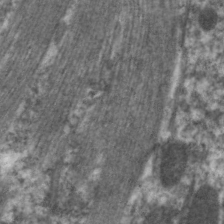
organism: C. elegans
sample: Pharynx